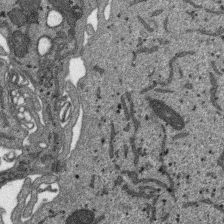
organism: Human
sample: Lung epithelial cells infected with SARS-CoV-2